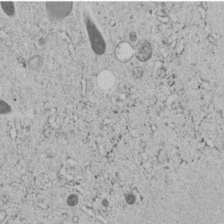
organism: C. elegans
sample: C. elegans embryo early stage